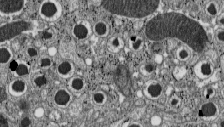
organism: C57BL Mouse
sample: Pancreatic islet